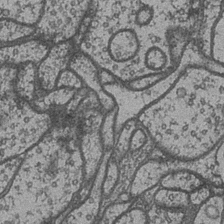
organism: Drosophila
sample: Optic medulla